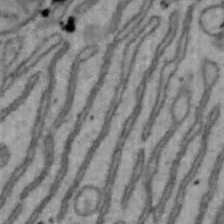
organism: Mouse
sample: Liver